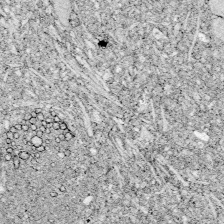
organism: Zebrafish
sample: Whole-Brain